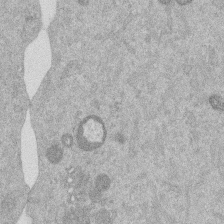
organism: Mouse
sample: Dividing mouse embryo 1 cell stage